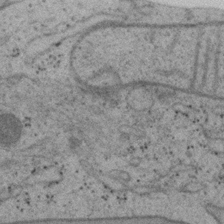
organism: Human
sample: HeLa cells